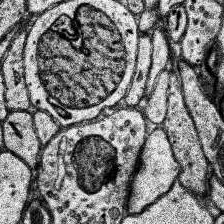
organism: Human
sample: Temporal Lobe